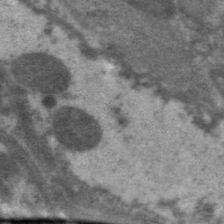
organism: C. elegans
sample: Pharynx